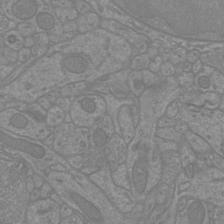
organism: Mouse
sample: Cortical neurons